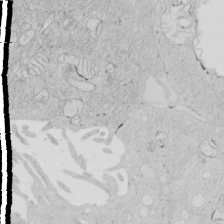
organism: Human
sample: Mitochondria in HCT116 cells